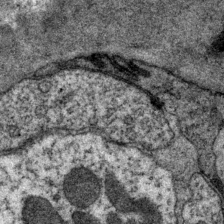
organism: P. pacificus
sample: Pharynx